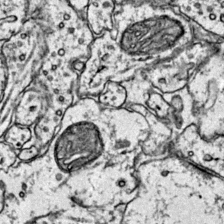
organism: Mouse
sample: Primary visual cortex